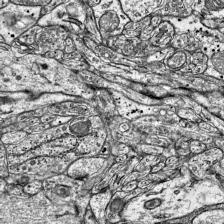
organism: Mouse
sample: Visual Cortex